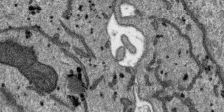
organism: Human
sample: Lung epithelial cells, uninfected (mock) control